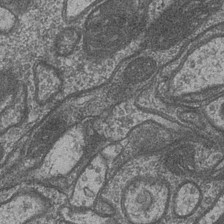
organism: Drosophila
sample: Optic medulla